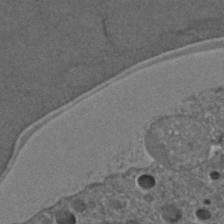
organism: C. elegans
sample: C. elegans embryo